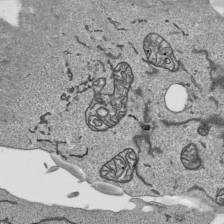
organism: Human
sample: Mitochondria in HCT116 cells